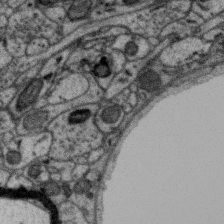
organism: Zebra finch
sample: Brain